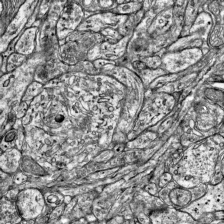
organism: Mouse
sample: Visual Cortex